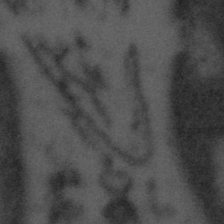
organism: Tuwongella immobilis